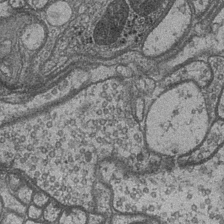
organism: Drosophila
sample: Optic medulla